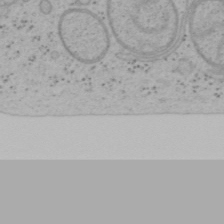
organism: Human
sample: HeLa cells